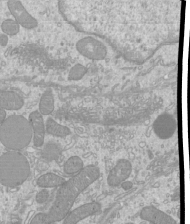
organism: Mouse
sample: Cilia; mouse epididymis